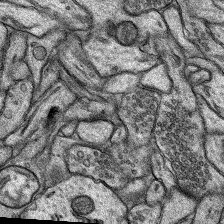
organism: Rat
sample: Hippocampus